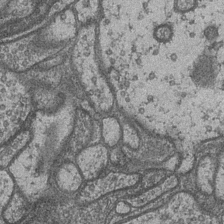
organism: Drosophila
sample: Optic medulla